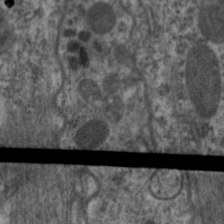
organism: C. elegans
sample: Pharynx